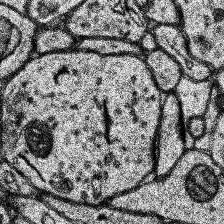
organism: Human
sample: Temporal Lobe